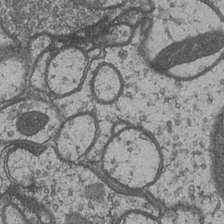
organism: Drosophila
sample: Optic medulla